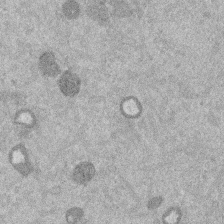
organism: Mouse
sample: Dividing mouse embryo 1 cell stage